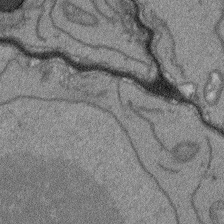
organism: Arabidopsis thaliana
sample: Root tip